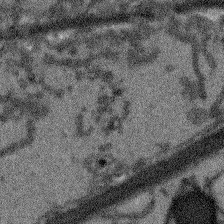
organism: Arabidopsis thaliana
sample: Root tip